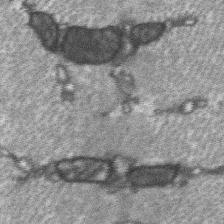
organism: C57BL Mouse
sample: Soleus